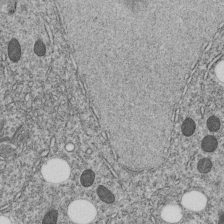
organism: C. elegans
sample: C. elegans embryo early stage